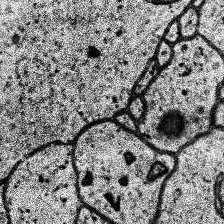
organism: Human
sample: Temporal Lobe